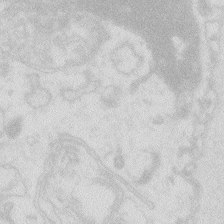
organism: Zebrafish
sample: Macrophage